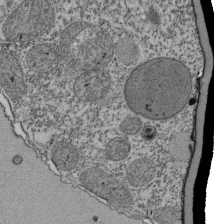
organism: Tetrahymena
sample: Cilia in tetrahymena